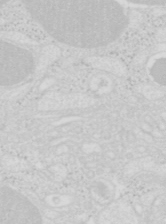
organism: Mouse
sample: Pancreas